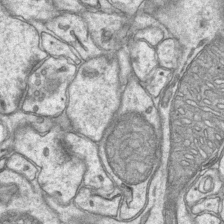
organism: Mouse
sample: CA1 Hippocampus